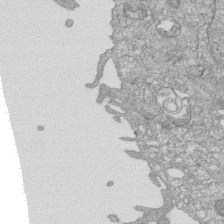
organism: Human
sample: HeLa cell HIV synapse